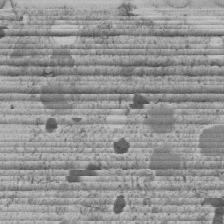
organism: C. elegans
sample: C. elegans embryo early stage